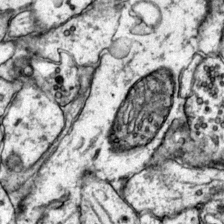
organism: Mouse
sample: Primary visual cortex